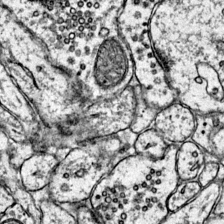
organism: Mouse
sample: Primary visual cortex